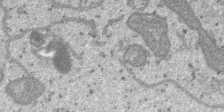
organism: Human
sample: Lung epithelial cells infected with SARS-CoV-2